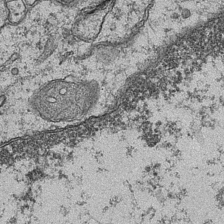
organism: Mouse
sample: CA1 Hippocampus